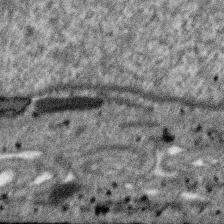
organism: Human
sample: Lung epithelial cells infected with SARS-CoV-2